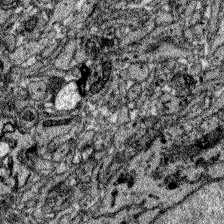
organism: Zebrafish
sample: Larval olfactory bulb